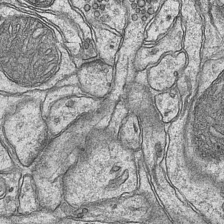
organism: Mouse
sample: CA1 Hippocampus